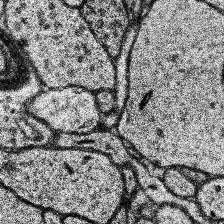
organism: Human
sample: Temporal Lobe